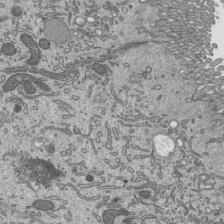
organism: Mouse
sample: Mouse epididymis efferent ductule cilia